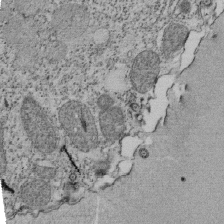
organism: Tetrahymena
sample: Cilia in tetrahymena